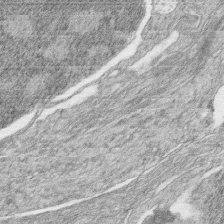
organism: Zebrafish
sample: synaptic ribbons in rod cells and cone cells